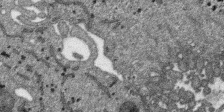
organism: Human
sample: Lung epithelial cells infected with SARS-CoV-2